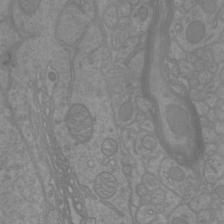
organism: Mouse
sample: Cortical neurons